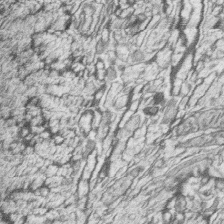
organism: Zebrafish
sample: synaptic ribbons in rod cells and cone cells